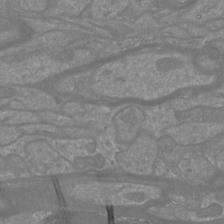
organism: Mouse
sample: Cortical neurons